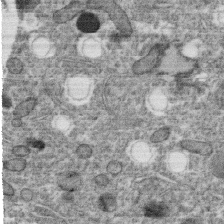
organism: C. elegans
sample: C. elegans oocyte; sperm cells